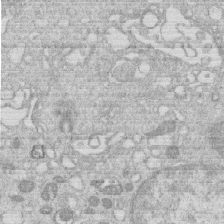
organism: Human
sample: Macrophage cells